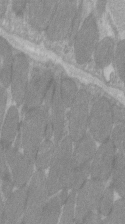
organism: C57BL Mouse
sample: Tibialis anterior muscle cell